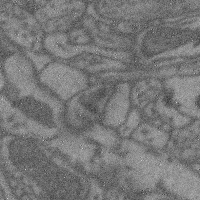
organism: Mouse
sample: Cerebral cortex